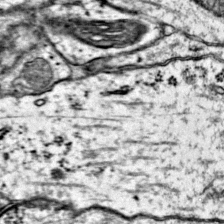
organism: Mouse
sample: Primary visual cortex